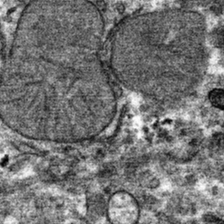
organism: Mouse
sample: Mouse hepatocytes